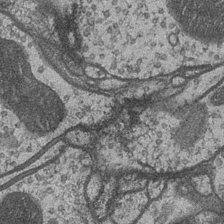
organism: Drosophila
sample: Optic medulla